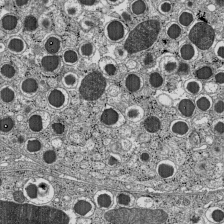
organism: C57BL Mouse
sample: Pancreatic islet